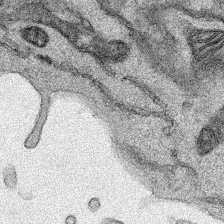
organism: Human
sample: Mitochondria in HCT116 cells